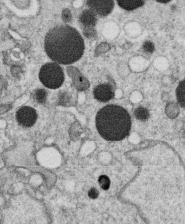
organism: C. elegans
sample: C. elegans oocyte; sperm cells